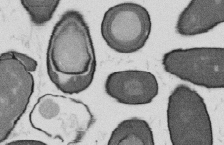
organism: B. subtilis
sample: Bacterial spore